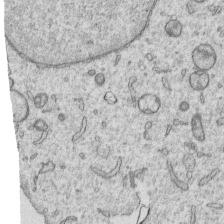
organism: Human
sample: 1205lu cells